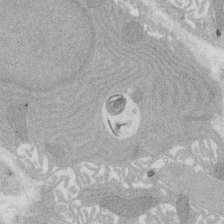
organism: Rat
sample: Salivary granule